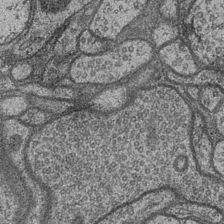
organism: Drosophila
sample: Optic medulla